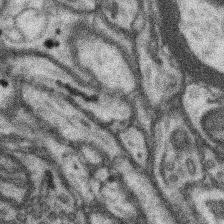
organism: Mouse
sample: Somatosensory cortex neuropil